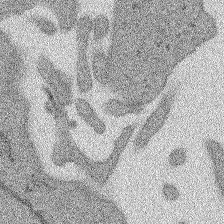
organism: Human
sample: HeLa cells